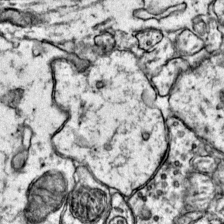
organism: Mouse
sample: Primary visual cortex